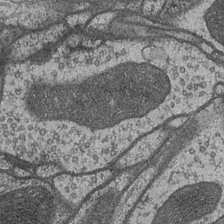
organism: Drosophila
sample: Optic medulla